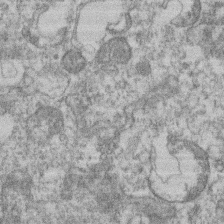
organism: Mouse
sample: T cell stromal cell synapse